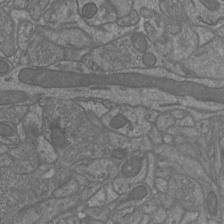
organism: Mouse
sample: Cortical neurons